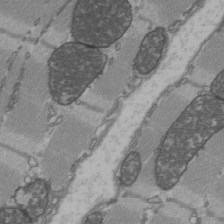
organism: C57BL Mouse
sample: Heart